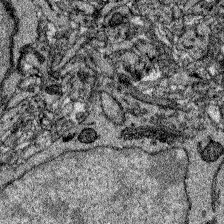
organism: Zebrafish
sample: Larval olfactory bulb